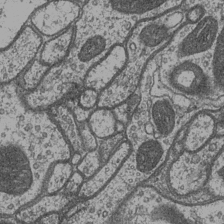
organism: Drosophila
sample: Optic medulla